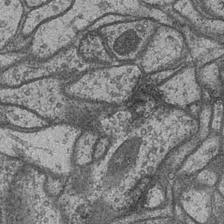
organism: Drosophila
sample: Optic medulla